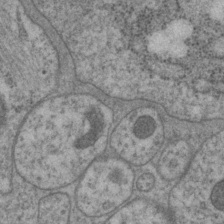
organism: P. pacificus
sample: Pharynx